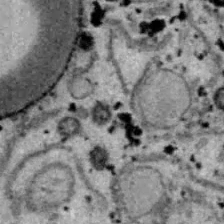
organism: Mouse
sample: Liver from an obese (ob/ob) mouse